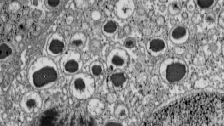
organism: C57BL Mouse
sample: Pancreatic islet